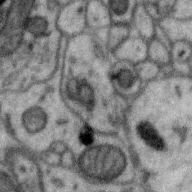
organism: Zebra finch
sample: Brain